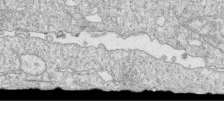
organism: Human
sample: HeLa cell HIV synapse